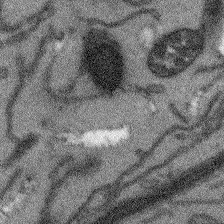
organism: Arabidopsis thaliana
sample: Root tip